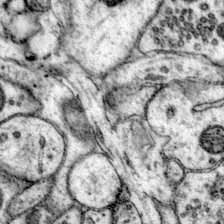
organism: Mouse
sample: Primary visual cortex